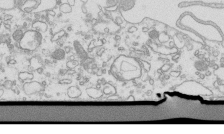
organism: Mouse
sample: Macrophages